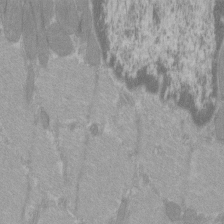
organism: C57BL Mouse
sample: Tibialis anterior muscle cell